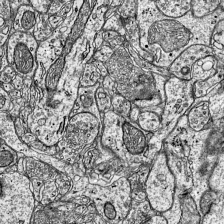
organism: Mouse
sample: Visual Cortex